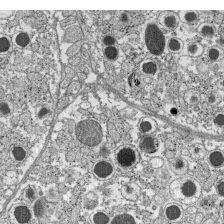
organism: C57BL Mouse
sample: Pancreatic islet